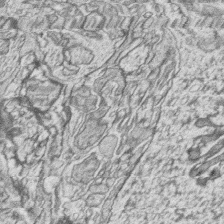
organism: Zebrafish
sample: synaptic ribbons in rod cells and cone cells